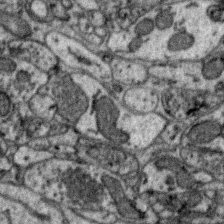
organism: Zebra finch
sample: Brain